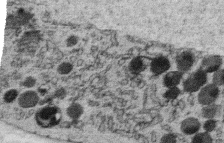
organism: C. elegans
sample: C. elegans oocyte; sperm cells